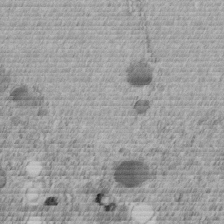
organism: C. elegans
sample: C. elegans embryo early stage